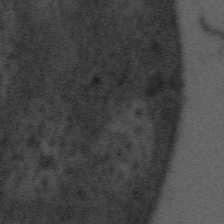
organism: Tuwongella immobilis